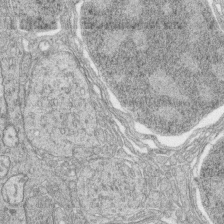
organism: Zebrafish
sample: synaptic ribbons in rod cells and cone cells